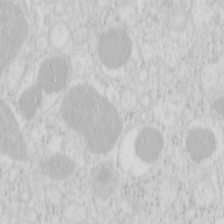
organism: Mouse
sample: Pancreas